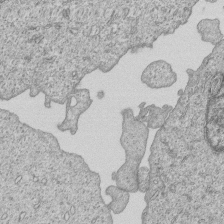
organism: Human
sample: MDA-MB-231 cells